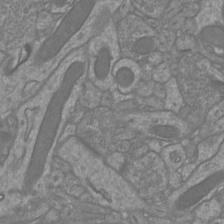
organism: Mouse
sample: Cortical neurons